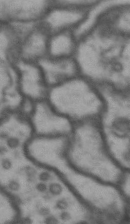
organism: Drosophila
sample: Brain